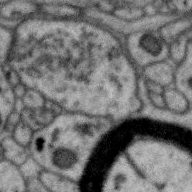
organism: Zebra finch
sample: Brain